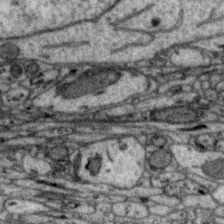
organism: Zebra finch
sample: Brain